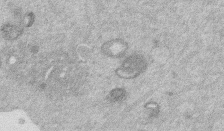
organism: Mouse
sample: Dividing mouse embryo 1 cell stage